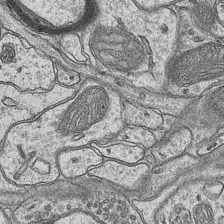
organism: Mouse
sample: CA1 Hippocampus